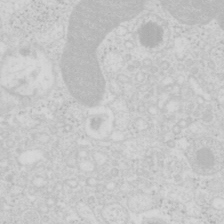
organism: Mouse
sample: Pancreas